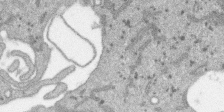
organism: Human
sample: Lung epithelial cells infected with SARS-CoV-2